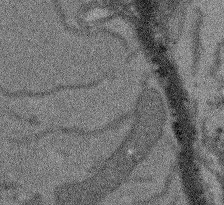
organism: Arabidopsis thaliana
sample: Root tip